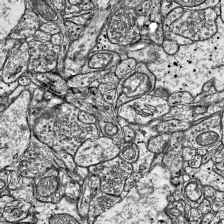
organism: Mouse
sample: Visual Cortex